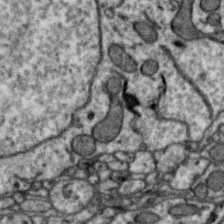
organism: Zebra finch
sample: Brain